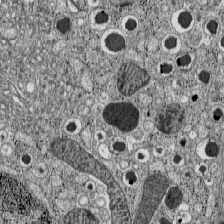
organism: C57BL Mouse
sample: Pancreatic islet